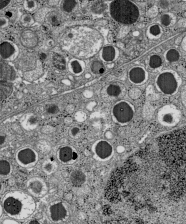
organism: C57BL Mouse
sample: Pancreatic islet